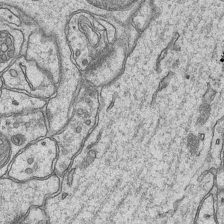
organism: Mouse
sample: CA1 Hippocampus